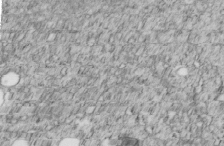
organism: C. elegans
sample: C. elegans embryo early stage